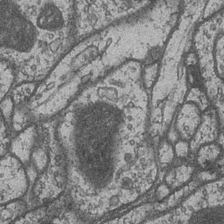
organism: Drosophila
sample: Optic medulla